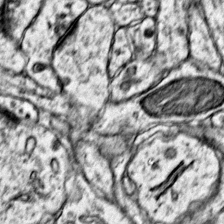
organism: Mouse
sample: Primary visual cortex